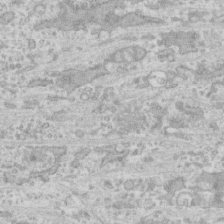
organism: Human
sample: CRL-1474